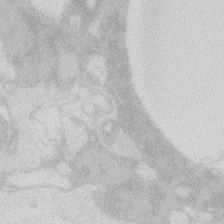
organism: Zebrafish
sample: Macrophage